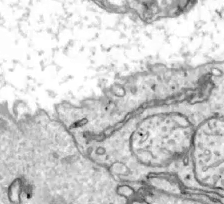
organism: Zebrafish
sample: Actinotrichia fibers